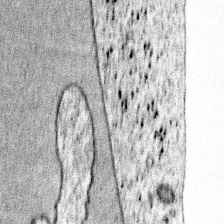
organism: Human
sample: HeLa cells